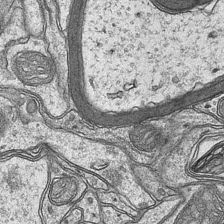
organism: Mouse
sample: CA1 Hippocampus